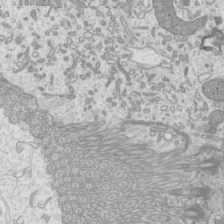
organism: Mouse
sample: Cilia; mouse epididymis